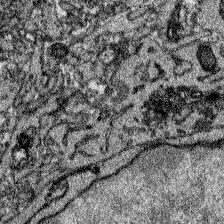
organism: Zebrafish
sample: Larval olfactory bulb